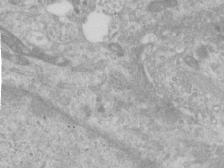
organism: Human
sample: Centriole in RPE cells